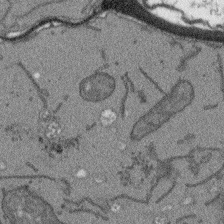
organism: Arabidopsis thaliana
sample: Root tip